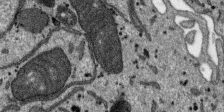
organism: Human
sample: Lung epithelial cells, uninfected (mock) control